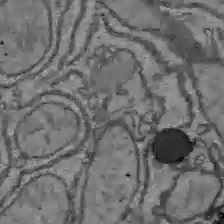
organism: C57BL Mouse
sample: Liver